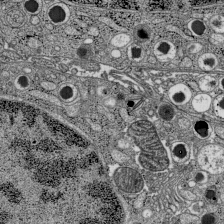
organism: C57BL Mouse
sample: Pancreatic islet